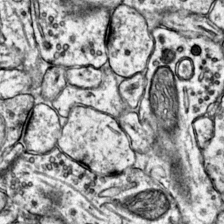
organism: Mouse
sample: Primary visual cortex